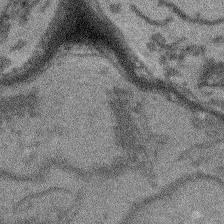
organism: Arabidopsis thaliana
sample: Root tip